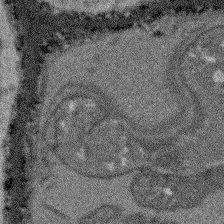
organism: Arabidopsis thaliana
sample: Root tip